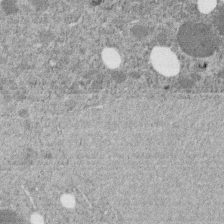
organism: C. elegans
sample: C. elegans embryo early stage